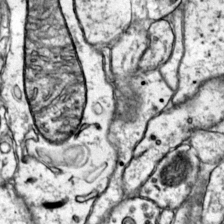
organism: Mouse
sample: Primary visual cortex